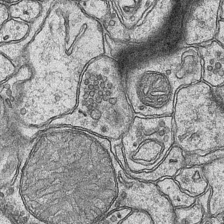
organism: Mouse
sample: CA1 Hippocampus